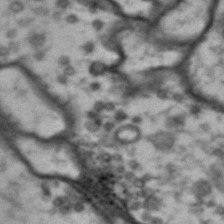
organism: Drosophila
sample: Brain